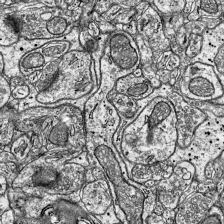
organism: Mouse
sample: Visual Cortex